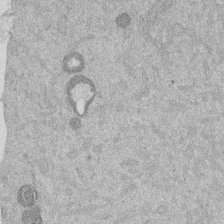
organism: Mouse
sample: Dividing mouse embryo 1 cell stage